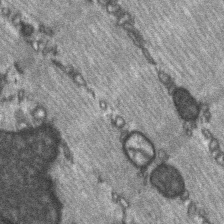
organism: C57BL Mouse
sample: Soleus